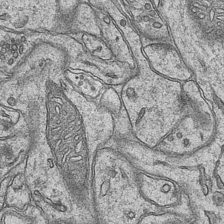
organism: Mouse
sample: CA1 Hippocampus